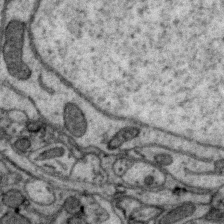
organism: Zebra finch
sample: Brain